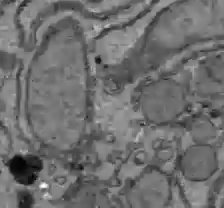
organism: C57BL Mouse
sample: Liver